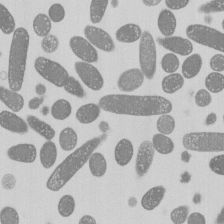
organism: E. coli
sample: Bacterial nucleoid